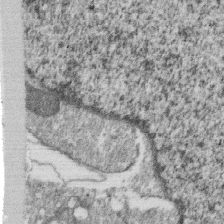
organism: African green monkey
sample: Vero E6 cells infected with SARS-CoV-2